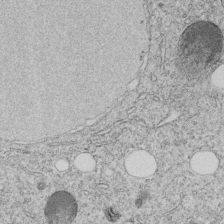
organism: C. elegans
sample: C. elegans embryo early stage